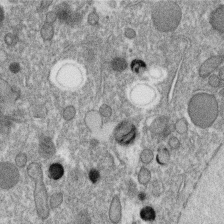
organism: C. elegans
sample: C. elegans oocyte; sperm cells